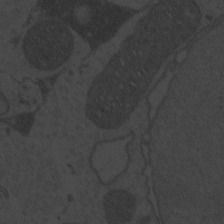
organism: Zebrafish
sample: Macrophage infected with Toxoplasma gondii